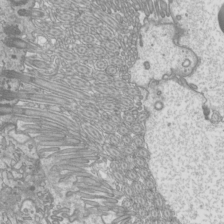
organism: Mouse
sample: Cilia; mouse epididymis